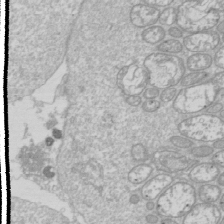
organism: Drosophila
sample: Cell division; meiosis; drosophila spermatocytes